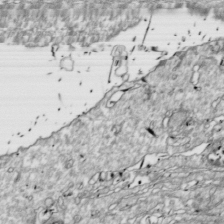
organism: Drosophila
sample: Cell division; meiosis; drosophila spermatocytes